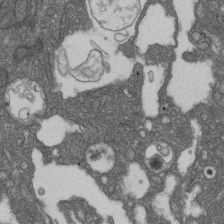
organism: Drosophila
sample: Nephrocyte